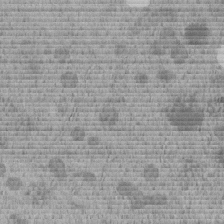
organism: C. elegans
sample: C. elegans embryo early stage